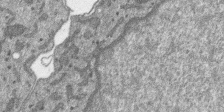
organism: Human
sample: Lung epithelial cells infected with SARS-CoV-2